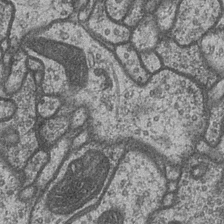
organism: Drosophila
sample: Optic medulla